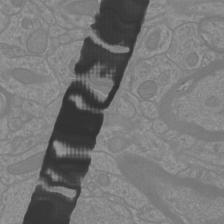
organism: Mouse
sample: Cortical neurons